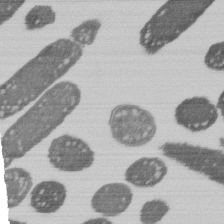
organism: E. coli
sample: Bacterial nucleoid